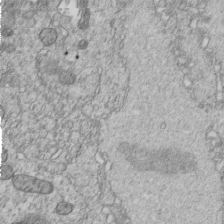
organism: C. elegans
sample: C. elegans embryo early stage